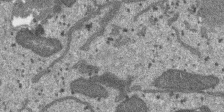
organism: Human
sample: Lung epithelial cells infected with SARS-CoV-2